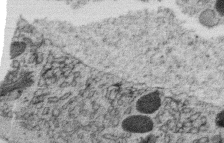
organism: C. elegans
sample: C. elegans oocyte; sperm cells